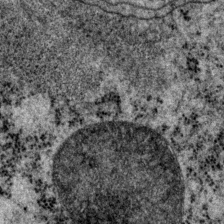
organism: P. pacificus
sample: Pharynx